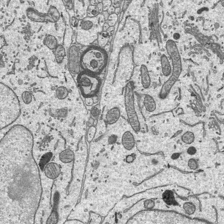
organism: Mouse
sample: Suprachiasmatic nucleus